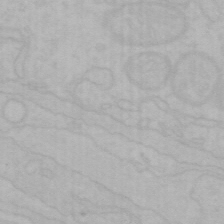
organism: Mouse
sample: Choroid plexus